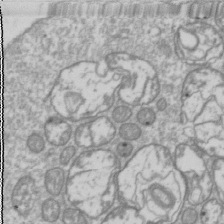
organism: Drosophila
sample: Cell division; meiosis; drosophila spermatocytes